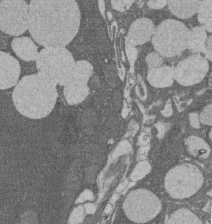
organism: Rat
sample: Salivary granule